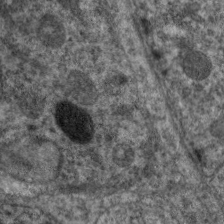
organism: C. elegans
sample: Pharynx